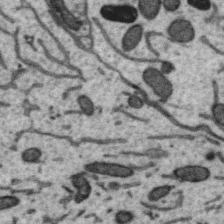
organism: Zebra finch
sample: Brain